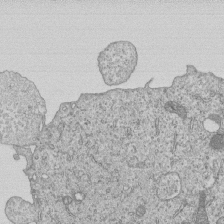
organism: Human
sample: MDA-MB-231 cells